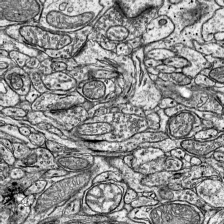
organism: Mouse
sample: Visual Cortex